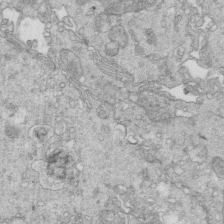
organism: Mouse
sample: Multiciliated cells